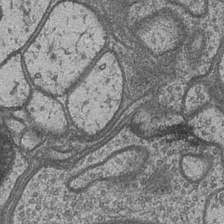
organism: Drosophila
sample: Optic medulla